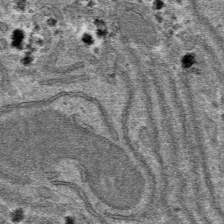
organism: Mouse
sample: Mouse hepatocytes